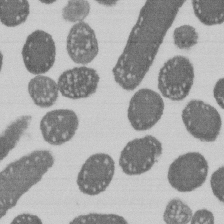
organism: E. coli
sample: Bacterial nucleoid